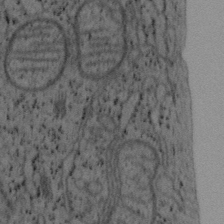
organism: Human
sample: HeLa cells